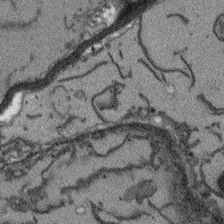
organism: Arabidopsis thaliana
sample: Root tip